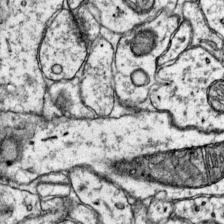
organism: Mouse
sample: Primary visual cortex